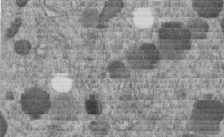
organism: C. elegans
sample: C. elegans embryo early stage